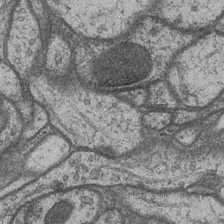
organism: Drosophila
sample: Optic medulla